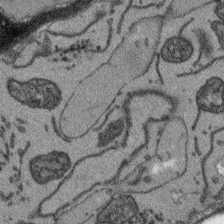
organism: Arabidopsis thaliana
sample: Root tip